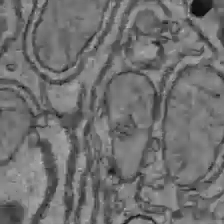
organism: C57BL Mouse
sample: Liver